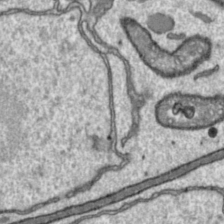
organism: Toxoplasma gondii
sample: Parasites in a vacuole inside a host cell